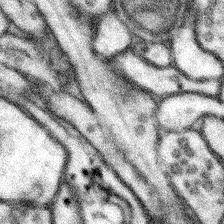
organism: Mouse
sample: Somatosensory cortex neuropil